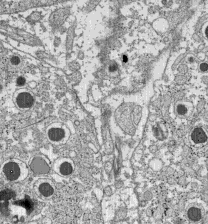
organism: C57BL Mouse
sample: Pancreatic islet